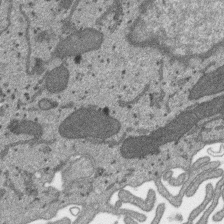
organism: Human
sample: Lung epithelial cells infected with SARS-CoV-2